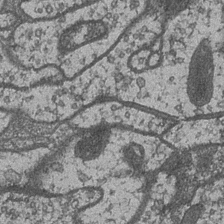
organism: Drosophila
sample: Optic medulla